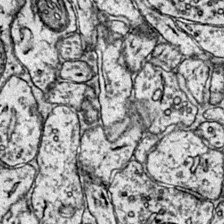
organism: Mouse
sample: Primary visual cortex